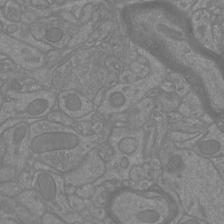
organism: Mouse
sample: Cortical neurons